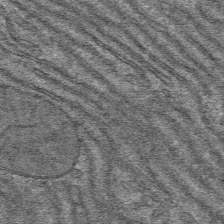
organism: Mouse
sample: Mouse hepatocytes